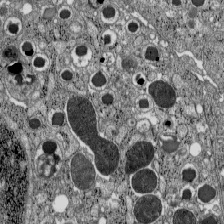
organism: C57BL Mouse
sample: Pancreatic islet